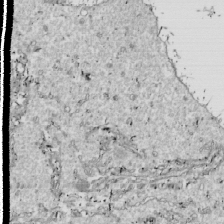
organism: Drosophila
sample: Cell division; meiosis; drosophila spermatocytes